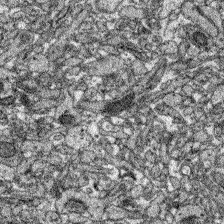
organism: Zebrafish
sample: Larval olfactory bulb